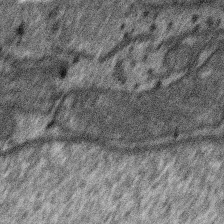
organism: Human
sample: Lung epithelial cells infected with SARS-CoV-2